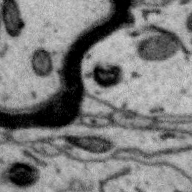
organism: Zebra finch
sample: Brain